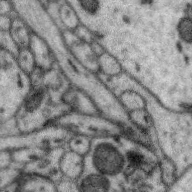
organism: Zebra finch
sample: Brain